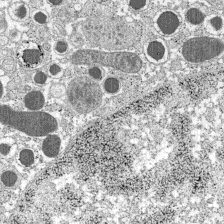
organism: C57BL Mouse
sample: Pancreatic islet